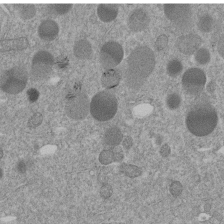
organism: C. elegans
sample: C. elegans embryo early stage